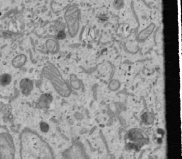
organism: Human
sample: Mitochondria in U2OS cells